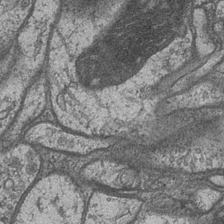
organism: Drosophila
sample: Optic medulla